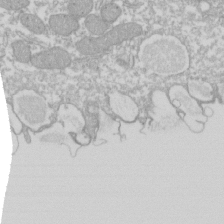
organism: Xenopus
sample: Cilia; centrioles in frog embryo cells